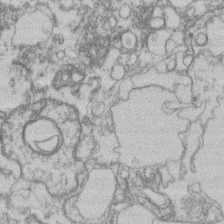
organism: Mouse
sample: T cell stromal cell synapse